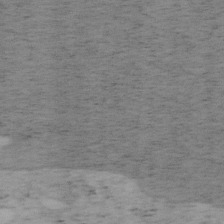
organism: Mouse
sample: OT-I killer T cells with ID8 ovarian cancer cells